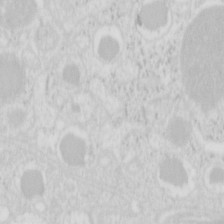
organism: Mouse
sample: Pancreas